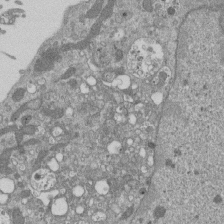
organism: Mouse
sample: ED-1 cell nuclei; centrioles